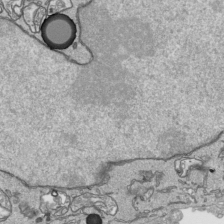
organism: Human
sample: Mitochondria in HCT116 cells